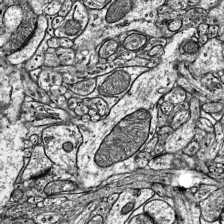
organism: Mouse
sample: Visual Cortex